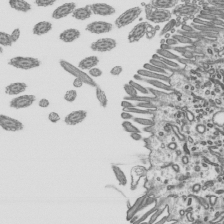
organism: Mouse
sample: Mouse epididymis efferent ductule cilia